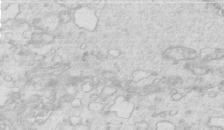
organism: Mouse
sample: Multiciliated cells